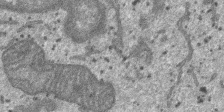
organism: Human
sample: Lung epithelial cells infected with SARS-CoV-2